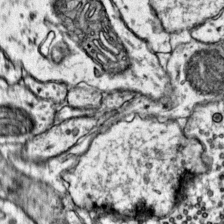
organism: Mouse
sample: Primary visual cortex